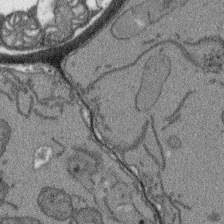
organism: Arabidopsis thaliana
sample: Root tip